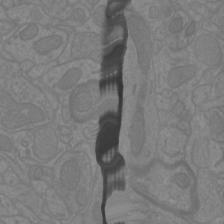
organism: Mouse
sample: Cortical neurons